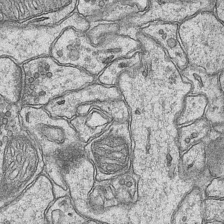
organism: Mouse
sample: CA1 Hippocampus